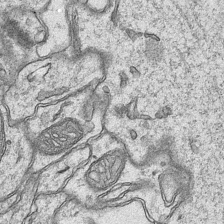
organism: Mouse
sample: CA1 Hippocampus